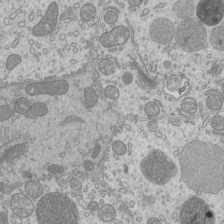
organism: Mouse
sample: Cilia; mouse epididymis